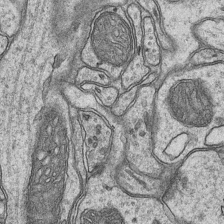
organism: Mouse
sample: CA1 Hippocampus